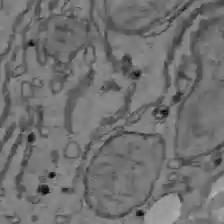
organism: C57BL Mouse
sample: Liver